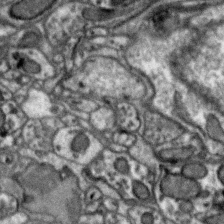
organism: Zebra finch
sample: Brain